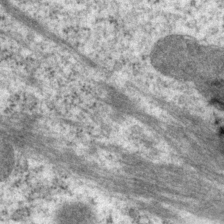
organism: P. pacificus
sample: Pharynx